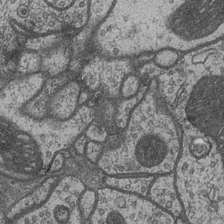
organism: Drosophila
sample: Optic medulla